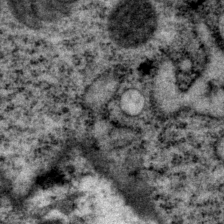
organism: P. pacificus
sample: Pharynx